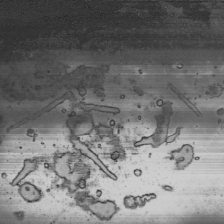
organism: Human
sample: Mitochondria in HCT116 cells